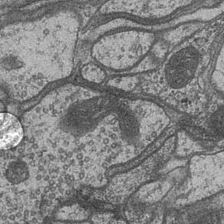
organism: Drosophila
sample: Optic medulla